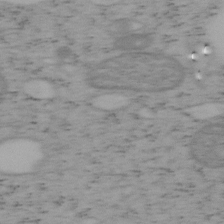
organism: Mouse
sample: OT-I killer T cells with ID8 ovarian cancer cells